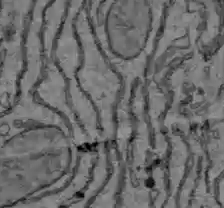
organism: C57BL Mouse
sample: Liver